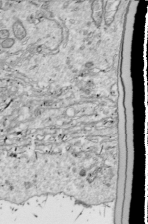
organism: Drosophila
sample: Cell division; meiosis; drosophila spermatocytes